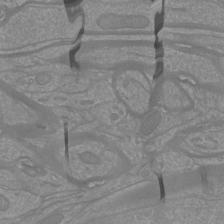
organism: Mouse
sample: Cortical neurons